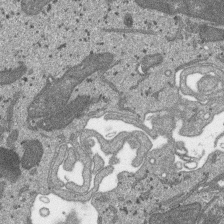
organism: Human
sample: Lung epithelial cells infected with SARS-CoV-2